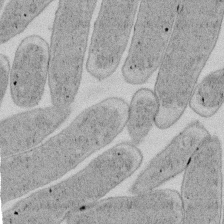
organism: E. coli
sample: Bacterial nucleoid